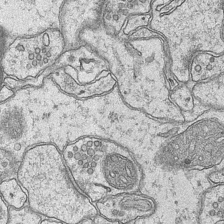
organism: Mouse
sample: CA1 Hippocampus